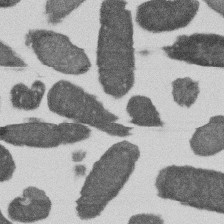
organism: E. coli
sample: Bacterial nucleoid